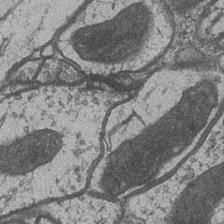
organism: Drosophila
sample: Optic medulla